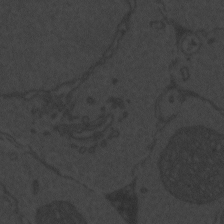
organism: Zebrafish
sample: Macrophage infected with Toxoplasma gondii